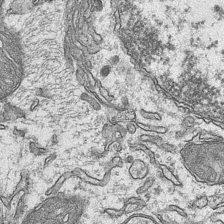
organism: Mouse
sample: CA1 Hippocampus